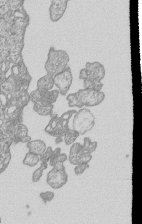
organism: Human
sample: MDA-MB-231 cells